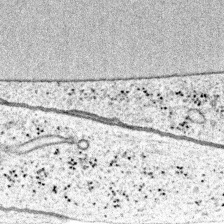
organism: Human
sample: HeLa cells